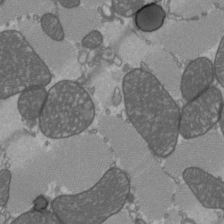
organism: C57BL Mouse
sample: Heart